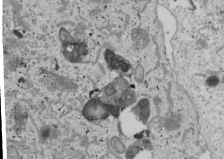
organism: Human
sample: Mitochondria in U2OS cells